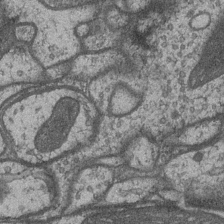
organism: Drosophila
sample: Optic medulla